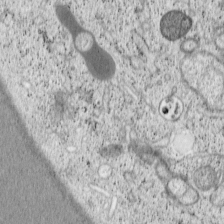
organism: African green monkey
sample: COS-7 cells